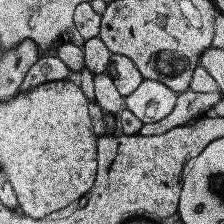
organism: Human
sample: Temporal Lobe